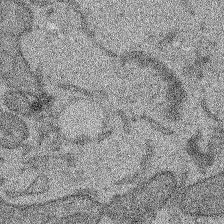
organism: Human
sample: HeLa cells